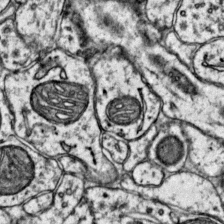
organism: Mouse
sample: Primary visual cortex